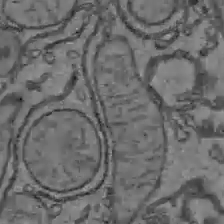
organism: C57BL Mouse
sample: Liver